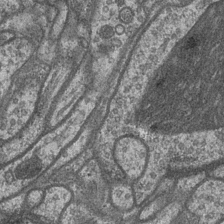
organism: Drosophila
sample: Optic medulla